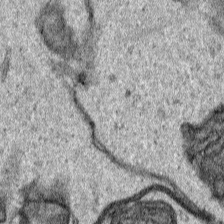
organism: Human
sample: Mitochondria in HCT116 cells